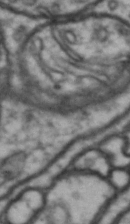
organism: Drosophila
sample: Brain